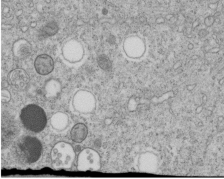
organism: C. elegans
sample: C. elegans embryo early stage